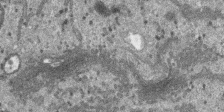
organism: Human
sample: Lung epithelial cells infected with SARS-CoV-2